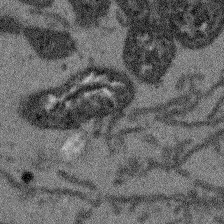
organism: Arabidopsis thaliana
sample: Root tip